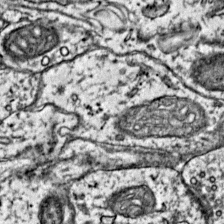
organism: Mouse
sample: Primary visual cortex